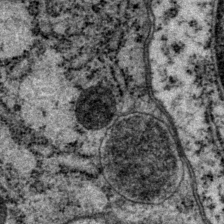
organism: P. pacificus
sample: Pharynx